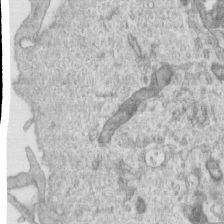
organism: Human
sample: Centriole in RPE cells